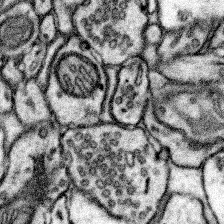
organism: Mouse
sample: Somatosensory cortex neuropil